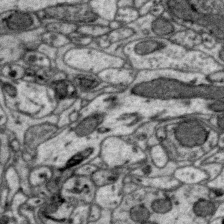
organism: Zebra finch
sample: Brain